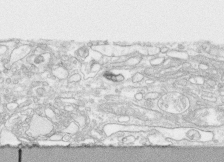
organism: Human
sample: CRL-1474